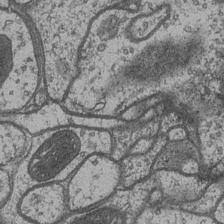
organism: Drosophila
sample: Optic medulla